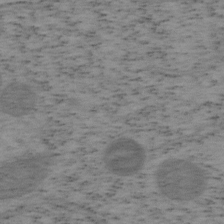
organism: Mouse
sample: OT-I killer T cells with ID8 ovarian cancer cells